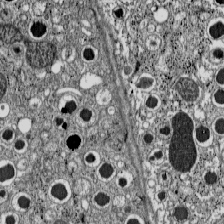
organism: C57BL Mouse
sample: Pancreatic islet